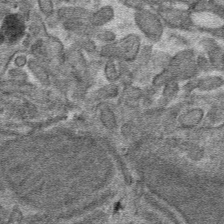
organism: Mouse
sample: Mouse hepatocytes